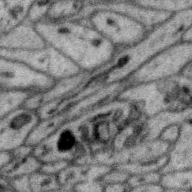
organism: Zebra finch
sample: Brain